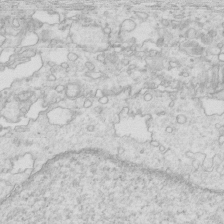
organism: Mouse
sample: Multiciliated cells